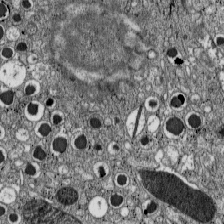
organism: C57BL Mouse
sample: Pancreatic islet